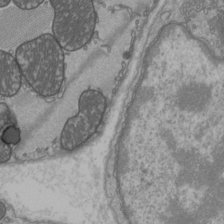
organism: C57BL Mouse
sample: Heart